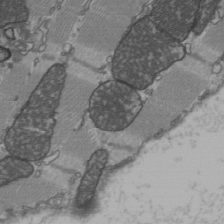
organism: C57BL Mouse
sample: Heart